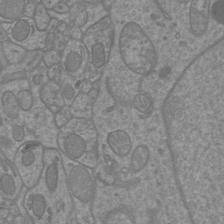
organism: Mouse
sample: Cortical neurons